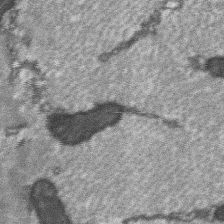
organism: C57BL Mouse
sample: Soleus